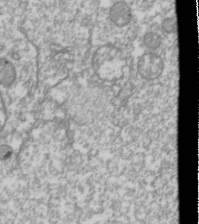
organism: Drosophila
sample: Cell division; meiosis; drosophila spermatocytes